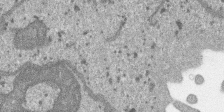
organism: Human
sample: Lung epithelial cells infected with SARS-CoV-2